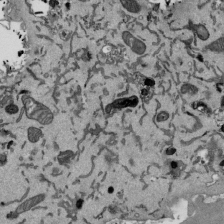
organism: Mouse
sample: ED-1 cell nuclei; centrioles